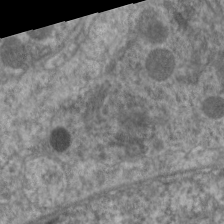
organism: C. elegans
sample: Pharynx